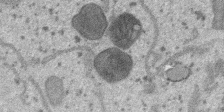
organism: Human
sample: Lung epithelial cells infected with SARS-CoV-2